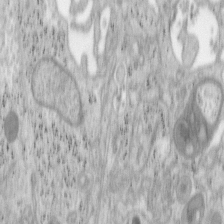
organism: Human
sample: HeLa cells